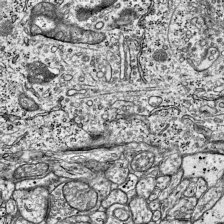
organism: Mouse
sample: Visual Cortex